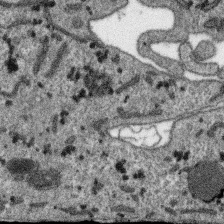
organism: Human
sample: Lung epithelial cells infected with SARS-CoV-2